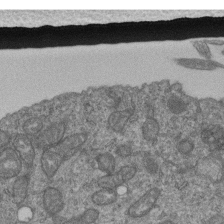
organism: Human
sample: Retinal organoid Rod and Cone cells